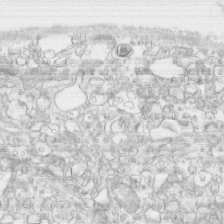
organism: Human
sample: CRL-1474